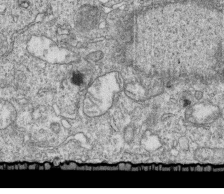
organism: Human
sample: HeLa cell HIV synapse